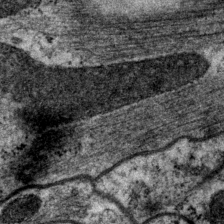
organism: P. pacificus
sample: Pharynx